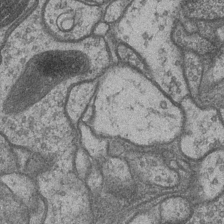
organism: Drosophila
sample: Optic medulla